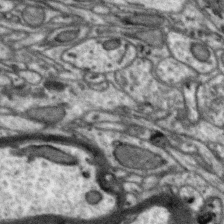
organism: Zebra finch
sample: Brain